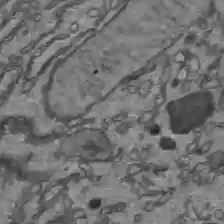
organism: C57BL Mouse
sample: Liver